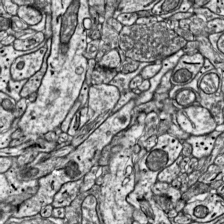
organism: Mouse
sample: Visual Cortex